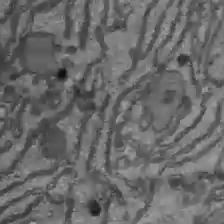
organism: C57BL Mouse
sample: Liver